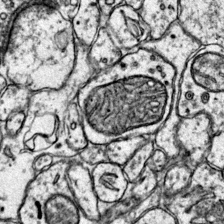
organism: Mouse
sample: Primary visual cortex